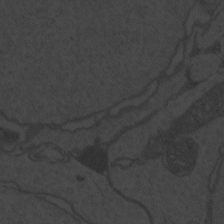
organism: Zebrafish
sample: Macrophage infected with Toxoplasma gondii